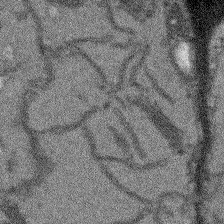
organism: Arabidopsis thaliana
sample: Root tip